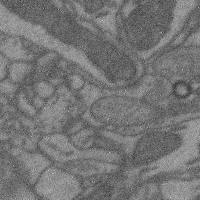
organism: Mouse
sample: Cerebral cortex